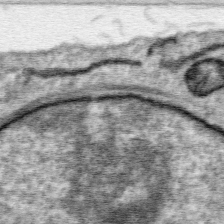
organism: Human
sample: HeLa cells